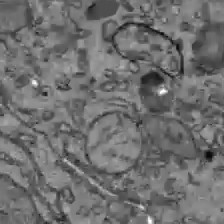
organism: C57BL Mouse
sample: Liver